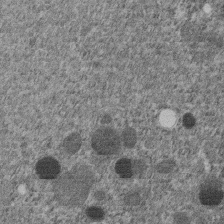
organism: C. elegans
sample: C. elegans embryo early stage